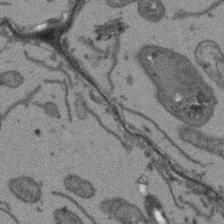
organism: Arabidopsis thaliana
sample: Root tip